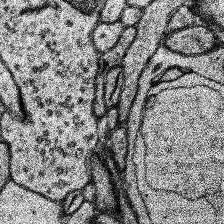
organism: Human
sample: Temporal Lobe